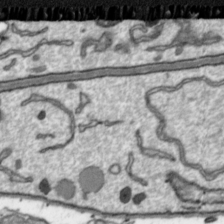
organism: Toxoplasma gondii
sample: Parasites in a vacuole inside a host cell